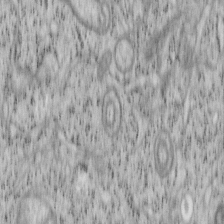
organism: Human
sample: HeLa cells